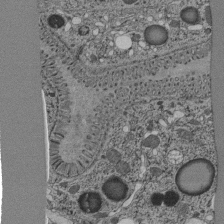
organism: C. elegans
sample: C. elegans pharynx